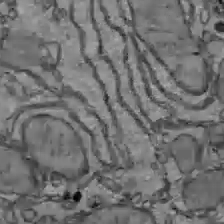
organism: C57BL Mouse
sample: Liver